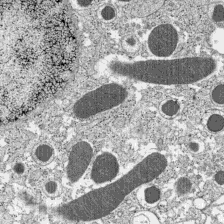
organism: C57BL Mouse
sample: Pancreatic islet